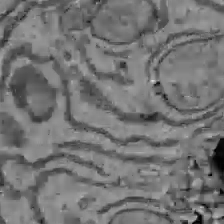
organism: C57BL Mouse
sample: Liver